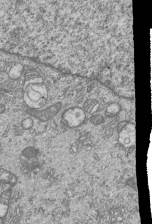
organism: Human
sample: MDA-MB-231 cells